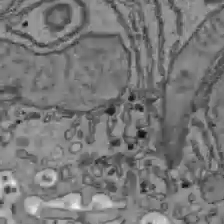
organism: C57BL Mouse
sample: Liver